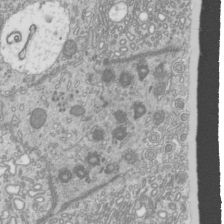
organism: Mouse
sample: Cilia; mouse epididymis